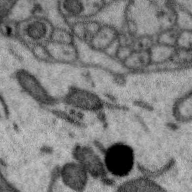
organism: Zebra finch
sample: Brain